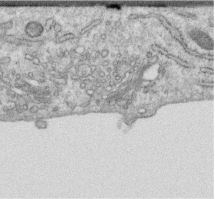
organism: Human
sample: Centriole in RPE cells